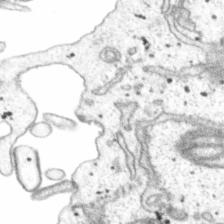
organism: Human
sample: HeLa cells